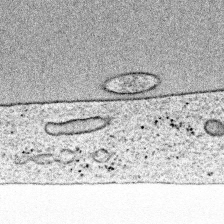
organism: Human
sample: HeLa cells